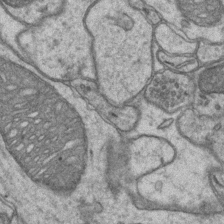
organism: Mouse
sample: CA1 Hippocampus